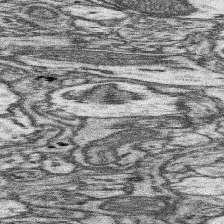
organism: Mouse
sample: Somatosensory cortex neuropil